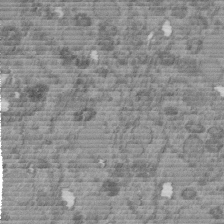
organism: C. elegans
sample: C. elegans embryo early stage